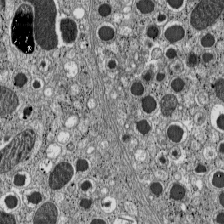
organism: C57BL Mouse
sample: Pancreatic islet